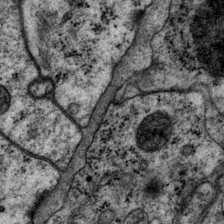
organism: P. pacificus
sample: Pharynx